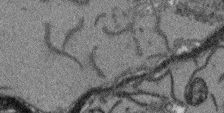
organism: Arabidopsis thaliana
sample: Root tip